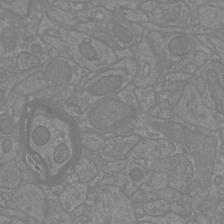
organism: Mouse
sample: Cortical neurons